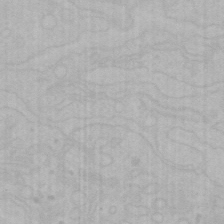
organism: Mouse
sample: Choroid plexus